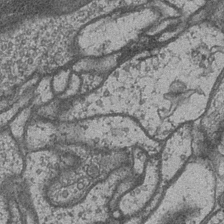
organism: Drosophila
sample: Optic medulla